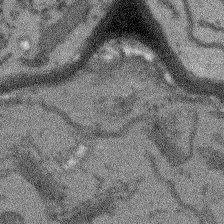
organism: Arabidopsis thaliana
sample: Root tip